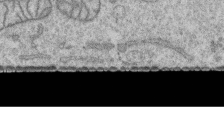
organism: Human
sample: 1205lu cells